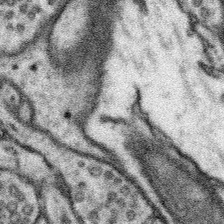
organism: Mouse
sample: Somatosensory cortex neuropil